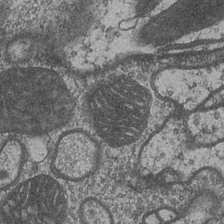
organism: Drosophila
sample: Optic medulla